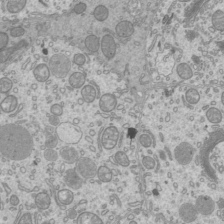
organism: Mouse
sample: Cilia; mouse epididymis